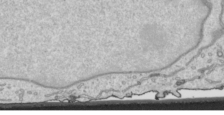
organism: Human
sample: Mitochondria in HCT116 cells